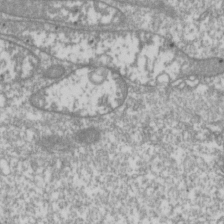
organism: Drosophila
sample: Cell division; meiosis; drosophila spermatocytes